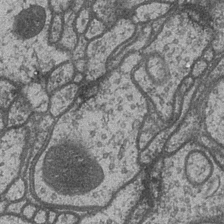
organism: Drosophila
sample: Optic medulla